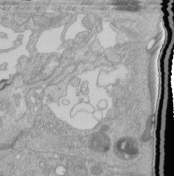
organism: Human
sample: Retinal organoid Rod and Cone cells